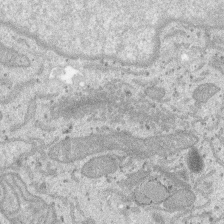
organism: Human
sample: Lung epithelial cells infected with SARS-CoV-2